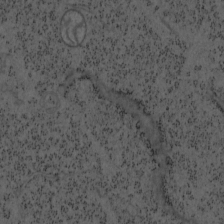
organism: Mouse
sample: OT-I killer T cells with ID8 ovarian cancer cells